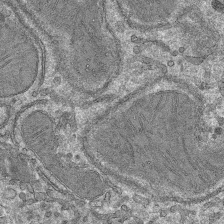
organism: Mouse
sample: Mouse hepatocytes